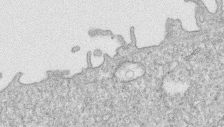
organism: Human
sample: HeLa cell HIV synapse